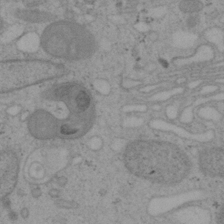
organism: Mouse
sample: OT-I killer T cells with ID8 ovarian cancer cells